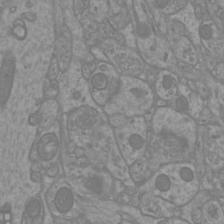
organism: Mouse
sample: Cortical neurons